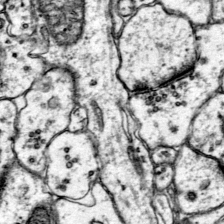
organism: Mouse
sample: Primary visual cortex